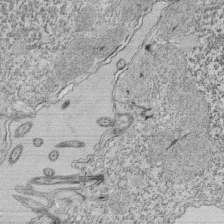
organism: Tetrahymena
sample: Cilia in tetrahymena